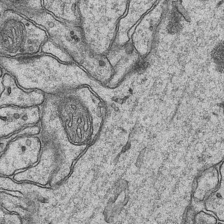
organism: Mouse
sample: CA1 Hippocampus